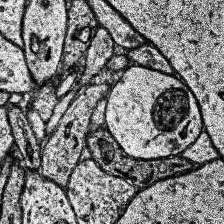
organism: Human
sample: Temporal Lobe